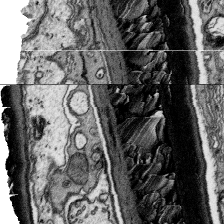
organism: Platynereis dumerilii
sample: Parapodia